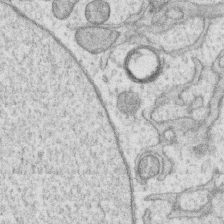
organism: Human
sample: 1205lu cells